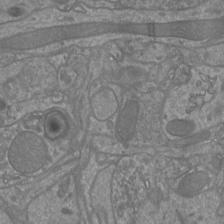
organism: Mouse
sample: Cortical neurons